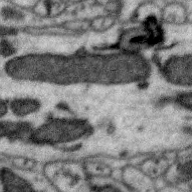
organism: Zebra finch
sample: Brain